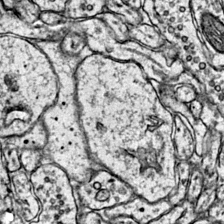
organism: Mouse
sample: Primary visual cortex